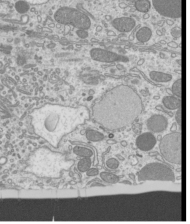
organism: Mouse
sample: Cilia; mouse epididymis